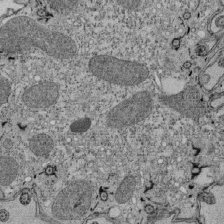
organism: Tetrahymena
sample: Cilia in tetrahymena